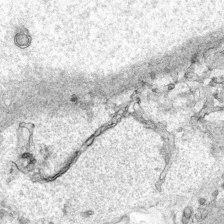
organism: Human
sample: Mitochondria in HCT116 cells